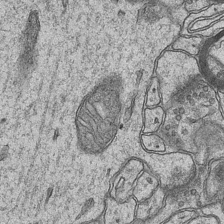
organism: Mouse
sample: CA1 Hippocampus